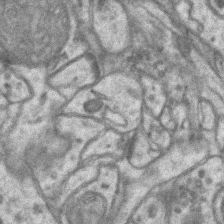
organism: Mouse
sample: CA1 Hippocampus